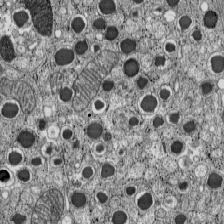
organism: C57BL Mouse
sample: Pancreatic islet